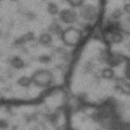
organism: Drosophila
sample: Brain